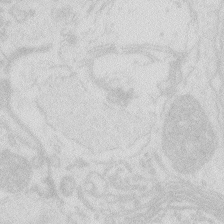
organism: Zebrafish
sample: Macrophage